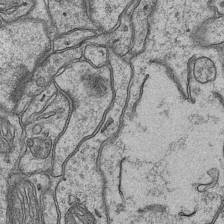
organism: Mouse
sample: CA1 Hippocampus